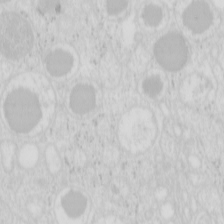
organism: Mouse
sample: Pancreas